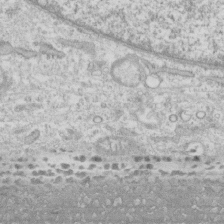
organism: Human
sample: CRL-1474